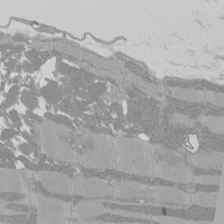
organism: Rat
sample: Left ventricle